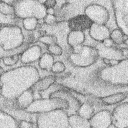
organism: Rabbit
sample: Retina